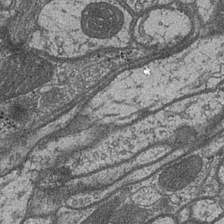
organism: Drosophila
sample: Optic medulla